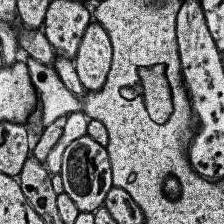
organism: Human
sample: Temporal Lobe